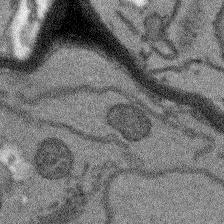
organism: Arabidopsis thaliana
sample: Root tip